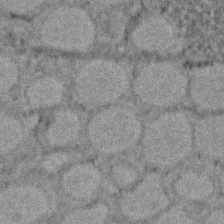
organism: Zebrafish